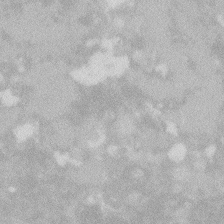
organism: Zebrafish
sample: Macrophage